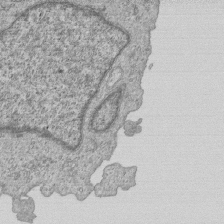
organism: Human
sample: MDA-MB-231 cells